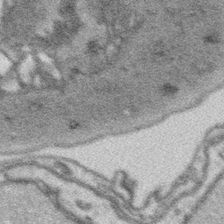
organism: Platynereis dumerilii